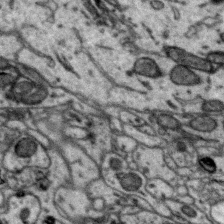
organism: Zebra finch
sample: Brain